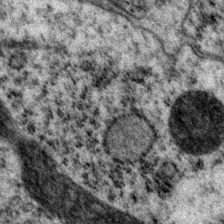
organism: P. pacificus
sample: Pharynx